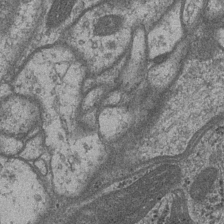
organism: Drosophila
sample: Optic medulla